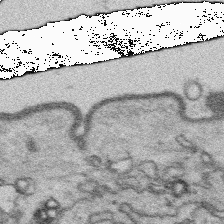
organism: Platynereis dumerilii